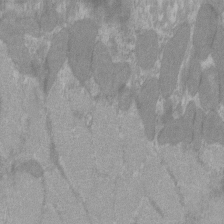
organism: C57BL Mouse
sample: Tibialis anterior muscle cell